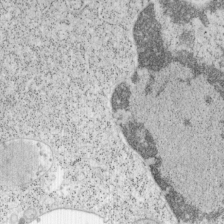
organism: Mouse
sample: OT-I killer T cells with ID8 ovarian cancer cells